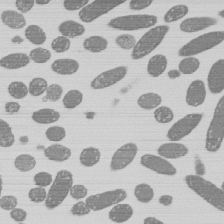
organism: E. coli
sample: Bacterial nucleoid